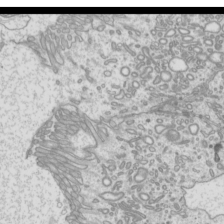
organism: Mouse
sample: Cilia; mouse epididymis